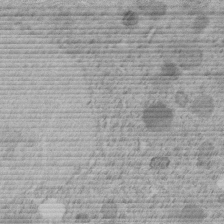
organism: C. elegans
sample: C. elegans embryo early stage